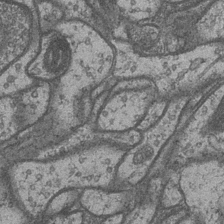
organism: Drosophila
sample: Optic medulla